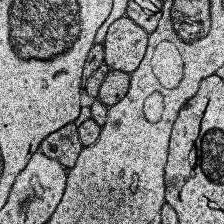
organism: Human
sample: Temporal Lobe